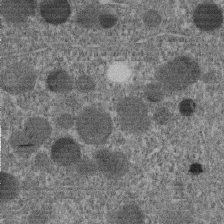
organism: C. elegans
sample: C. elegans embryo early stage